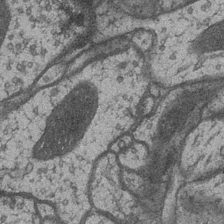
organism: Drosophila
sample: Optic medulla